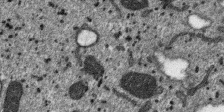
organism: Human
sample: Lung epithelial cells infected with SARS-CoV-2